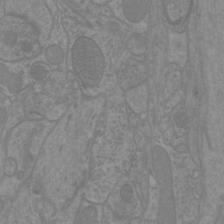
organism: Mouse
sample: Cortical neurons